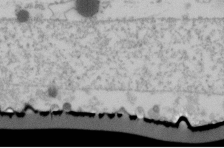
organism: Human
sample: U2-OS cells